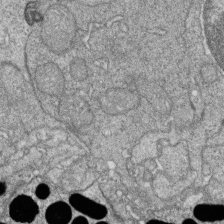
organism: Zebrafish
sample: Cilia; retinal pigment epithelium